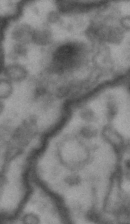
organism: Drosophila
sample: Brain